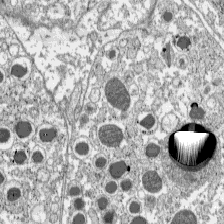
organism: C57BL Mouse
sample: Pancreatic islet